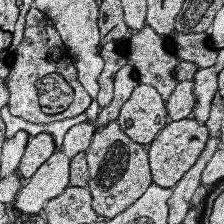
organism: Human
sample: Temporal Lobe